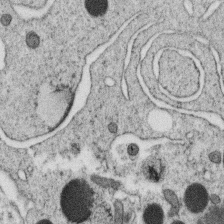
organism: C. elegans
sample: C. elegans oocyte; sperm cells